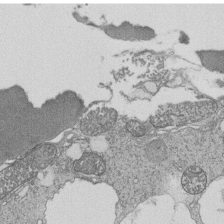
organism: Tetrahymena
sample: Cilia in tetrahymena